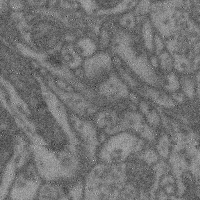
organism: Mouse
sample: Cerebral cortex